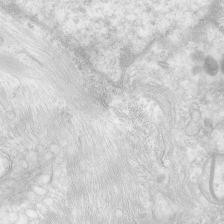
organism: Human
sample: Neocortex